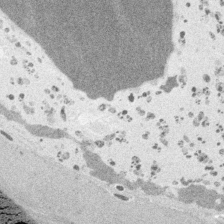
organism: Embia sp.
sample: Silk gland